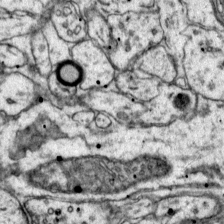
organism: Mouse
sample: Primary visual cortex